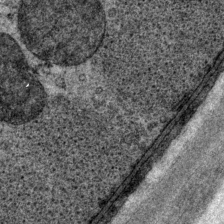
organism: P. pacificus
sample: Pharynx